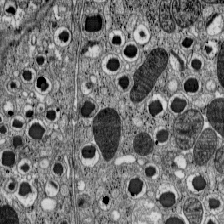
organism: C57BL Mouse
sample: Pancreatic islet